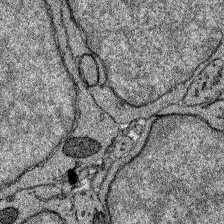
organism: Zebrafish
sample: Larval olfactory bulb